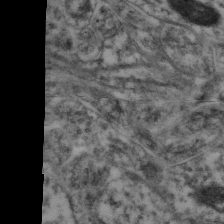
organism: Mouse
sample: Neocortex